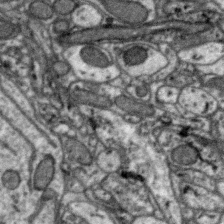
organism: Zebra finch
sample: Brain